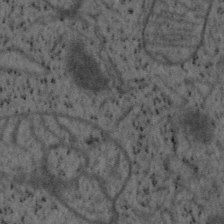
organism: Human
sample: HeLa cells